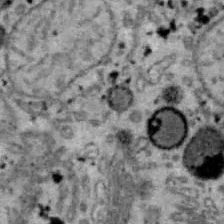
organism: Mouse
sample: Liver from an obese (ob/ob) mouse